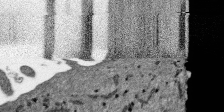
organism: Human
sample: Lung epithelial cells, uninfected (mock) control